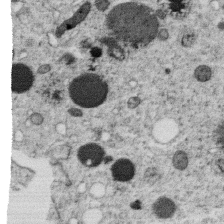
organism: C. elegans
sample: C. elegans oocyte; sperm cells